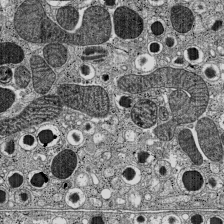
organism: C57BL Mouse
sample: Pancreatic islet